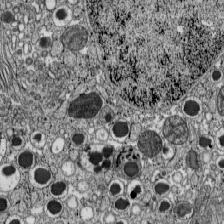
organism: C57BL Mouse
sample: Pancreatic islet